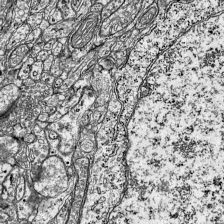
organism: Mouse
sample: Visual Cortex